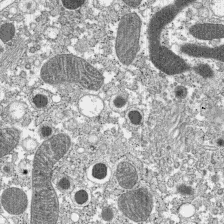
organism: C57BL Mouse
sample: Pancreatic islet